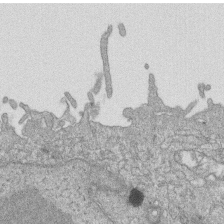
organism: Human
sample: HeLa cell HIV synapse